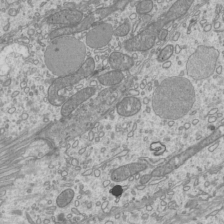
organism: Mouse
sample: Cilia; mouse epididymis